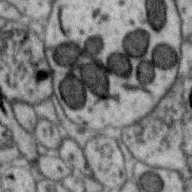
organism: Zebra finch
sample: Brain